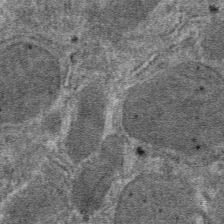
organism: Mouse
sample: Mouse hepatocytes